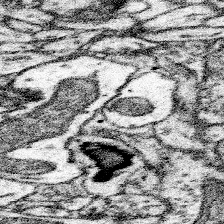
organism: Mouse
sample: Somatosensory cortex neuropil